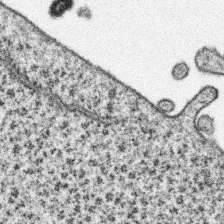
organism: Human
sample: HeLa cells